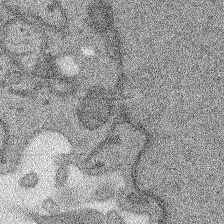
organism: Human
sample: HeLa cells